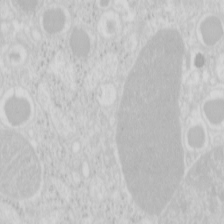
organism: Mouse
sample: Pancreas